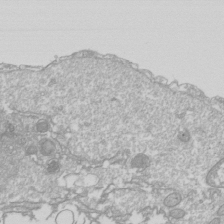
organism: Drosophila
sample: Cell division; meiosis; drosophila spermatocytes